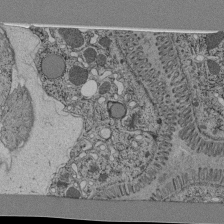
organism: C. elegans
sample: C. elegans pharynx